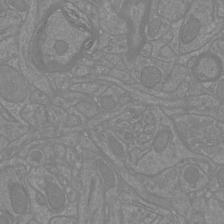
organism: Mouse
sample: Cortical neurons